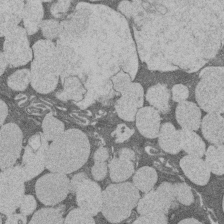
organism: Rat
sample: Salivary granule